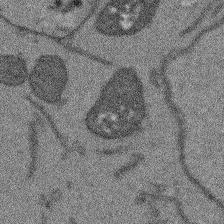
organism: Arabidopsis thaliana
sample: Root tip